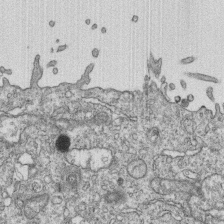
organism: Human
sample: HeLa cell HIV synapse